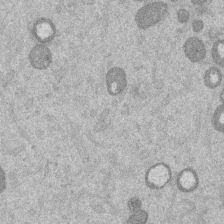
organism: Mouse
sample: Dividing mouse embryo 1 cell stage